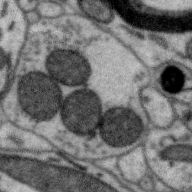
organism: Zebra finch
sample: Brain